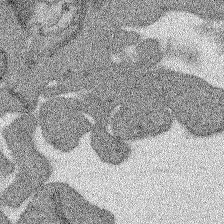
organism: Human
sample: HeLa cells